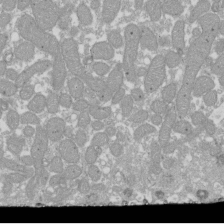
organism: Xenopus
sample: Cilia; centrioles in frog embryo cells